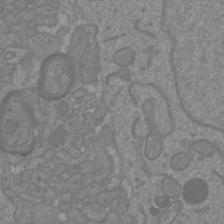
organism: Mouse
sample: Cortical neurons